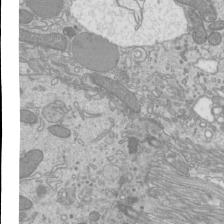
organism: Mouse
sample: Cilia; mouse epididymis